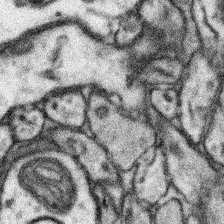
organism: Mouse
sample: Somatosensory cortex neuropil